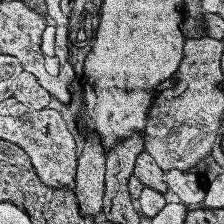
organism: Human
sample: Temporal Lobe